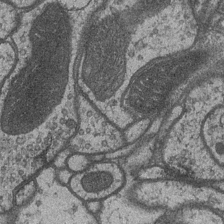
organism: Drosophila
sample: Optic medulla